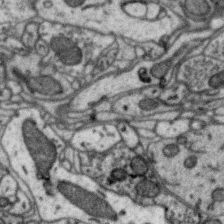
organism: Zebra finch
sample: Brain